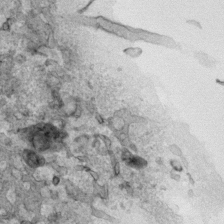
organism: Human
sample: Mitochondria in HCT116 cells